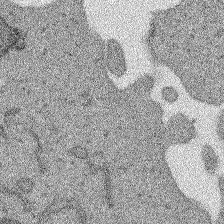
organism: Human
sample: HeLa cells